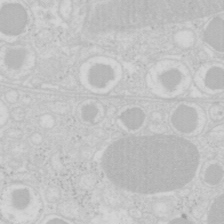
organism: Mouse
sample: Pancreas